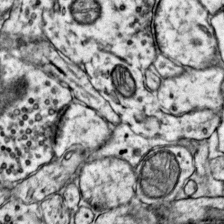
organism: Mouse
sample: Primary visual cortex